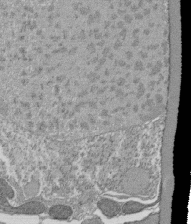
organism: Tetrahymena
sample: Cilia in tetrahymena